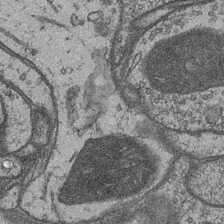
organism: Drosophila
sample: Optic medulla